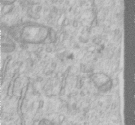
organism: Human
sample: Centriole in RPE cells